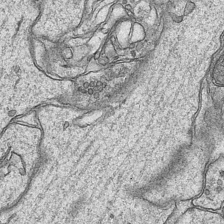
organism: Mouse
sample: CA1 Hippocampus